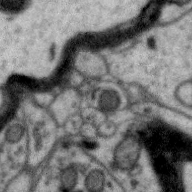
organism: Zebra finch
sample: Brain